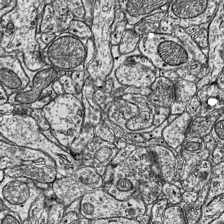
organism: Mouse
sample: Visual Cortex